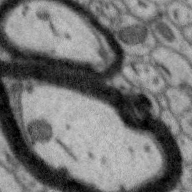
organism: Zebra finch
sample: Brain